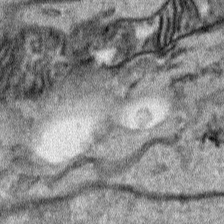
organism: Human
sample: Mitochondria in HCT116 cells